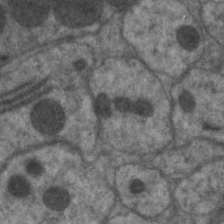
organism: C. elegans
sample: Pharynx